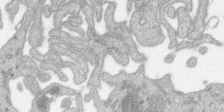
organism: Human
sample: Lung epithelial cells infected with SARS-CoV-2